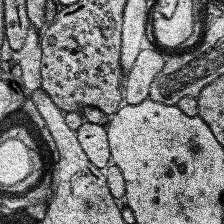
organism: Human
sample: Temporal Lobe